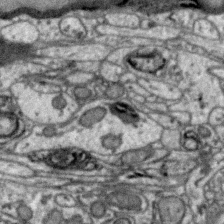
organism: Zebra finch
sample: Brain